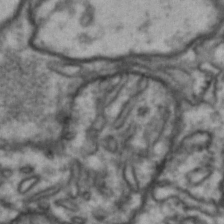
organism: Drosophila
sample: Brain